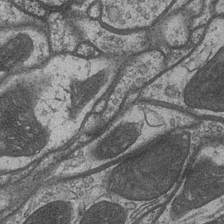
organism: Drosophila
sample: Optic medulla